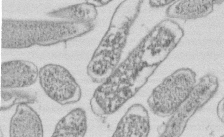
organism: E. coli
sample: Bacterial nucleoid